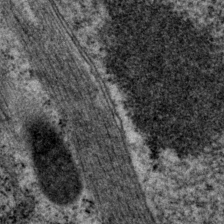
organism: P. pacificus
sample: Pharynx